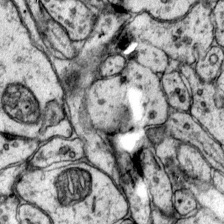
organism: Mouse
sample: Primary visual cortex